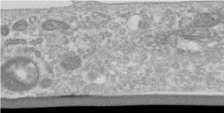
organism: Human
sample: Centriole in RPE cells